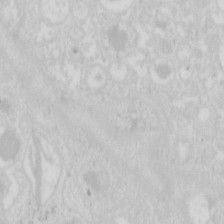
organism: Mouse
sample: Pancreas